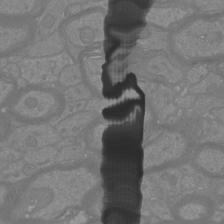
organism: Mouse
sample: Cortical neurons